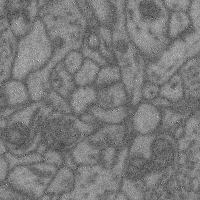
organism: Mouse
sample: Cerebral cortex